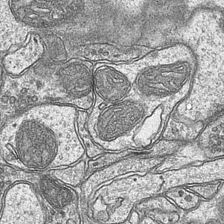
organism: Mouse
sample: CA1 Hippocampus